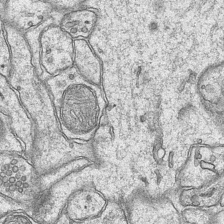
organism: Mouse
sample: CA1 Hippocampus